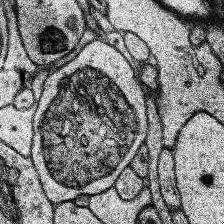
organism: Human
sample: Temporal Lobe